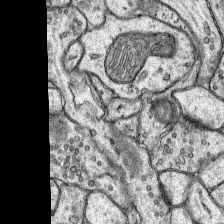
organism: Rat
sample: Hippocampus